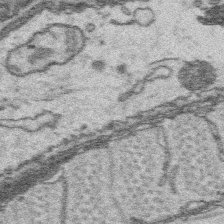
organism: Platynereis dumerilii